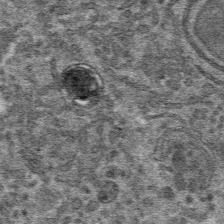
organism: Mouse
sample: Mouse hepatocytes